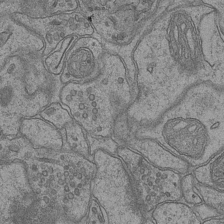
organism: Mouse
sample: CA1 Hippocampus